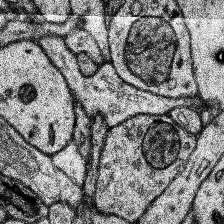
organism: Human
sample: Temporal Lobe